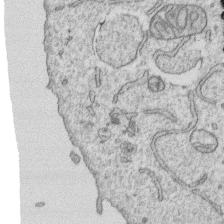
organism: Human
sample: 1205lu cells